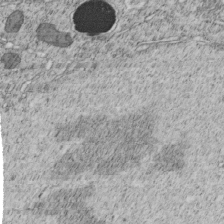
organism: C. elegans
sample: C. elegans embryo early stage